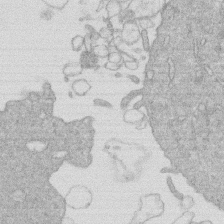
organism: Human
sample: Macrophage cells